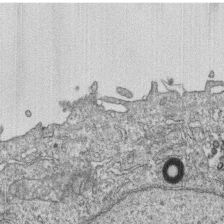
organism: Human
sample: HeLa cell HIV synapse